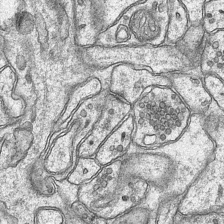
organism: Mouse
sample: CA1 Hippocampus